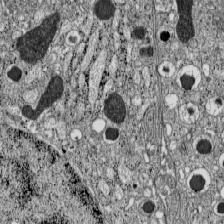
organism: C57BL Mouse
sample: Pancreatic islet